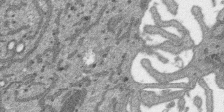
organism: Human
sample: Lung epithelial cells infected with SARS-CoV-2